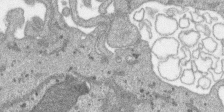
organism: Human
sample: Lung epithelial cells infected with SARS-CoV-2